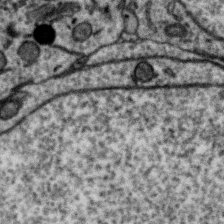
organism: Zebra finch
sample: Brain